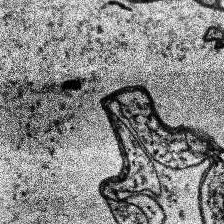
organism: Human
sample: Temporal Lobe